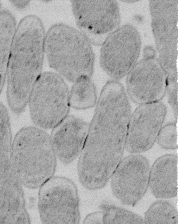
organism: E. coli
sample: Bacterial nucleoid